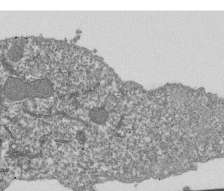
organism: Dictyostelium discoideum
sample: Dictyostelium multivesicular bodies